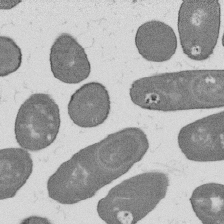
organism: B. subtilis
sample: Bacterial spore